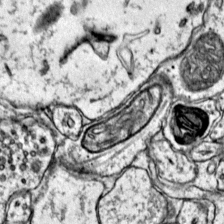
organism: Mouse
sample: Primary visual cortex